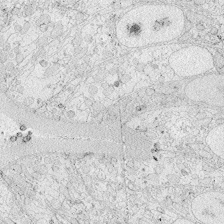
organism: Zebrafish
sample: Whole-Brain